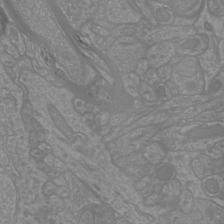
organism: Mouse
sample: Cortical neurons